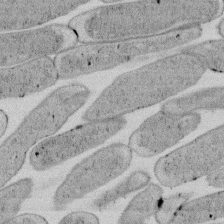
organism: E. coli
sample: Bacterial nucleoid